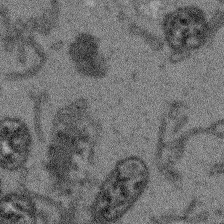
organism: Arabidopsis thaliana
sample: Root tip